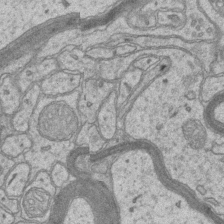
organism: Mouse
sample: CA1 Hippocampus